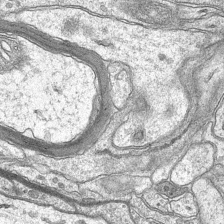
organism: Mouse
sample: CA1 Hippocampus